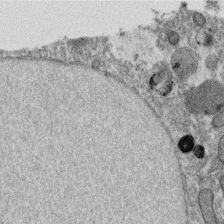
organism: C. elegans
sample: C. elegans oocyte; sperm cells